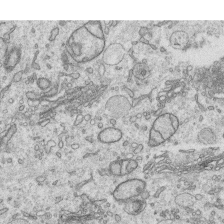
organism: Human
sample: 1205lu cells